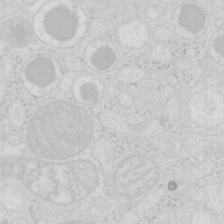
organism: Mouse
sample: Pancreas